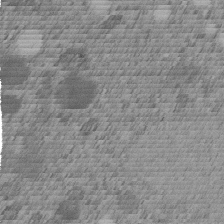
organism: C. elegans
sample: C. elegans embryo early stage